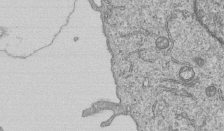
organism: Human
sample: MDA-MB-231 cells